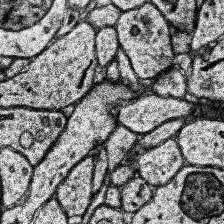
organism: Human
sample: Temporal Lobe